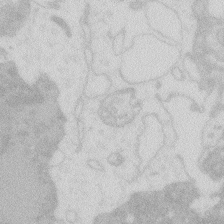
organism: Zebrafish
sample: Macrophage